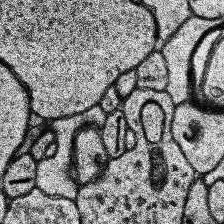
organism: Human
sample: Temporal Lobe